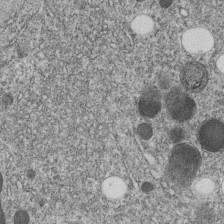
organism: C. elegans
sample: C. elegans embryo early stage